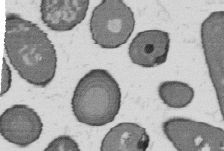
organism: B. subtilis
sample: Bacterial spore